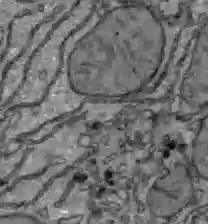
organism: C57BL Mouse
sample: Liver